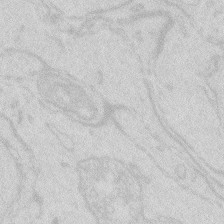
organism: Zebrafish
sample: Macrophage